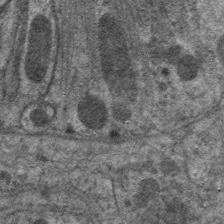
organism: C. elegans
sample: Pharynx